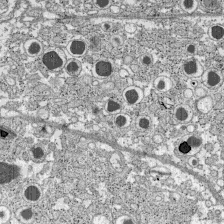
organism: C57BL Mouse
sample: Pancreatic islet